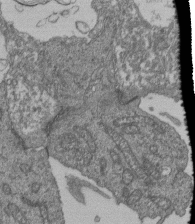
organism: Human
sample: Retinal organoid Rod and Cone cells